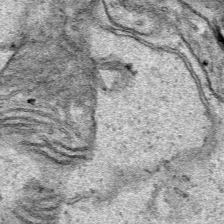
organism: Human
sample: Mitochondria in HCT116 cells